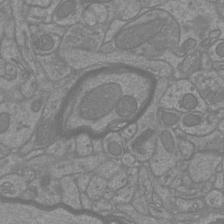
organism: Mouse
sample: Cortical neurons